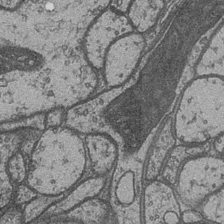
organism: Drosophila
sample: Optic medulla